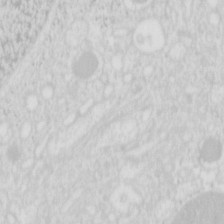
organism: Mouse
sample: Pancreas